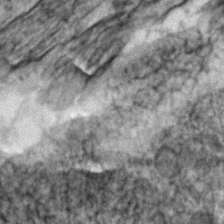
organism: Zebrafish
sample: Zebrafish embryo